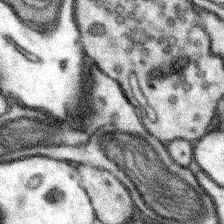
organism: Mouse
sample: Somatosensory cortex neuropil